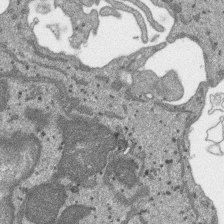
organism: Human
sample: Lung epithelial cells infected with SARS-CoV-2